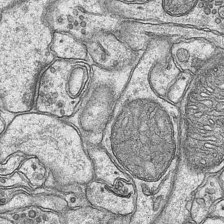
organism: Mouse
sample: CA1 Hippocampus